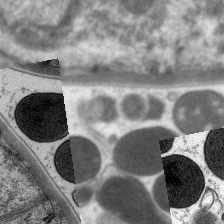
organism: C. elegans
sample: Pharynx